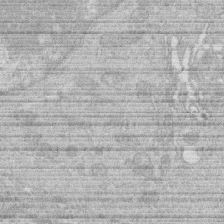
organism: Human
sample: Macrophage cells